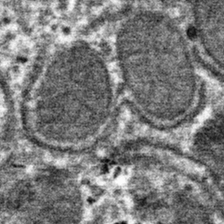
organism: Mouse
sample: Mouse hepatocytes